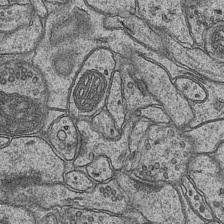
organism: Mouse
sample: CA1 Hippocampus